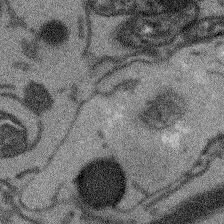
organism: Arabidopsis thaliana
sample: Root tip